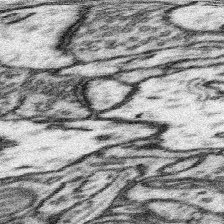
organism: Mouse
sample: Somatosensory cortex neuropil